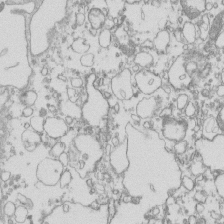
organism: Mouse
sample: Macrophages